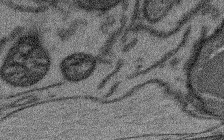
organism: Arabidopsis thaliana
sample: Root tip